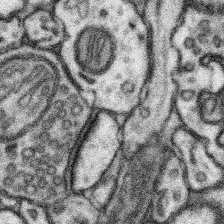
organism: Mouse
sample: Somatosensory cortex neuropil